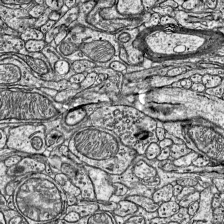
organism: Mouse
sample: Visual Cortex